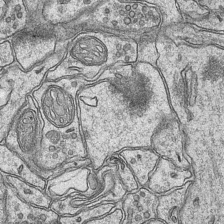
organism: Mouse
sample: CA1 Hippocampus